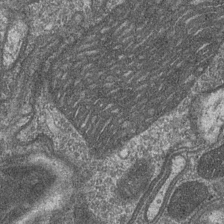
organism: Drosophila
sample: Optic medulla